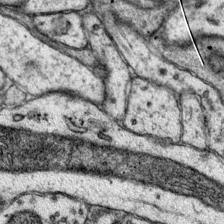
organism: Mouse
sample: Primary visual cortex